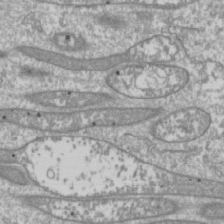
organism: Drosophila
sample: Cell division; meiosis; drosophila spermatocytes